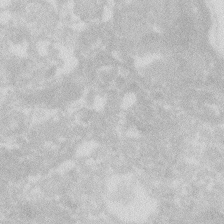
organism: Zebrafish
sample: Macrophage